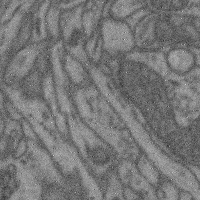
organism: Mouse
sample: Cerebral cortex